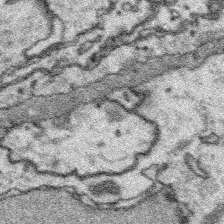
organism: Platynereis dumerilii